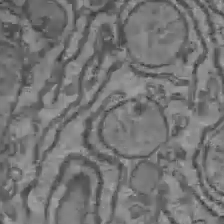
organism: C57BL Mouse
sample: Liver